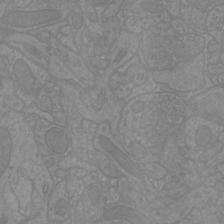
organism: Mouse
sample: Cortical neurons